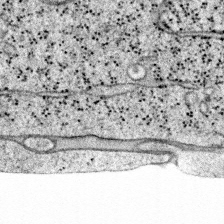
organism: Human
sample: HeLa cells